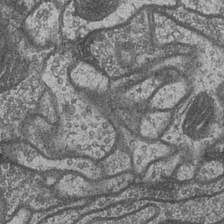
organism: Drosophila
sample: Optic medulla